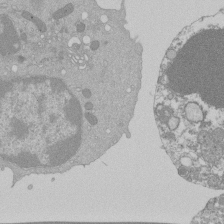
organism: Mouse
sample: Activated Pmel transgenic CD8+ T Cells